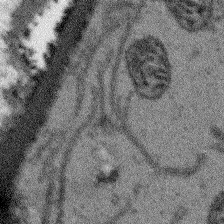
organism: Arabidopsis thaliana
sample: Root tip